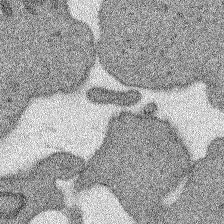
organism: Human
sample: HeLa cells